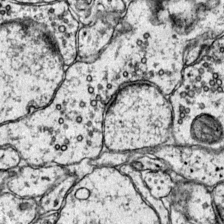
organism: Mouse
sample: Primary visual cortex